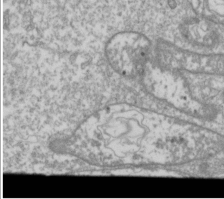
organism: Drosophila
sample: Cell division; meiosis; drosophila spermatocytes